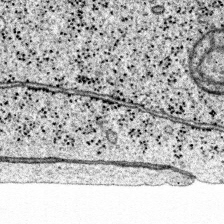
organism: Human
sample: HeLa cells